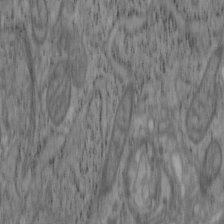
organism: Human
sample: HeLa cells